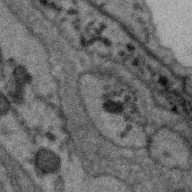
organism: Zebra finch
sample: Brain